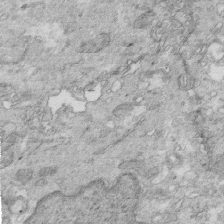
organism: Mouse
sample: Multiciliated cells